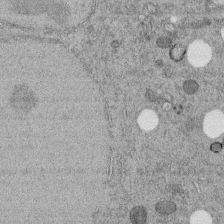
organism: C. elegans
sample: C. elegans embryo early stage